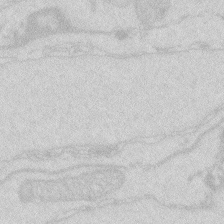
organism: Zebrafish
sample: Macrophage